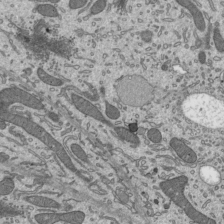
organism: Mouse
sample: Mouse epididymis efferent ductule cilia